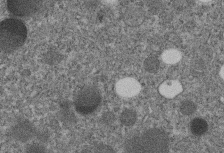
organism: C. elegans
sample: C. elegans embryo early stage